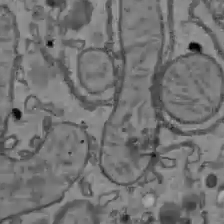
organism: C57BL Mouse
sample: Liver